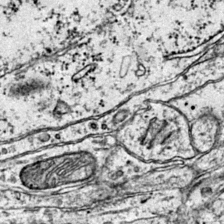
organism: Mouse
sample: Primary visual cortex